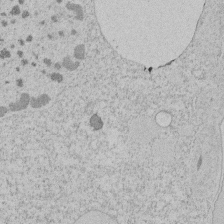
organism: Tetrahymena